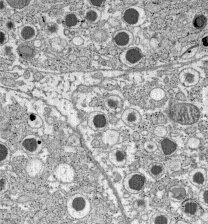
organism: C57BL Mouse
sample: Pancreatic islet